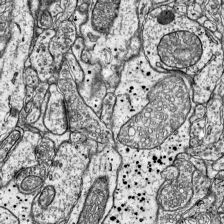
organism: Mouse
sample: Visual Cortex